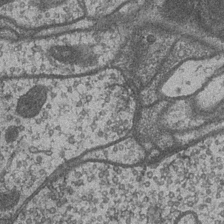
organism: Drosophila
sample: Optic medulla